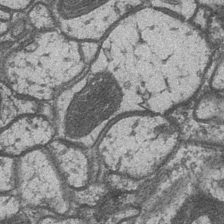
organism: Drosophila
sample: Optic medulla